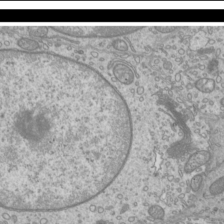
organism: Mouse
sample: Cilia; mouse epididymis